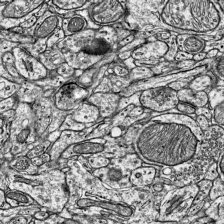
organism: Mouse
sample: Visual Cortex